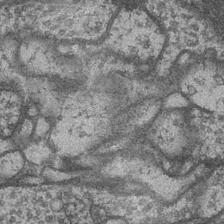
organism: Drosophila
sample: Optic medulla